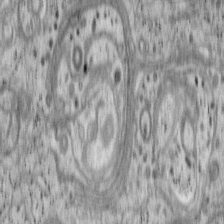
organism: Human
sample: HeLa cells